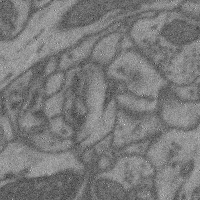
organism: Mouse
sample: Cerebral cortex